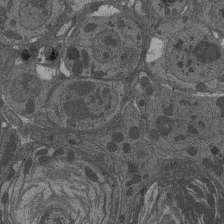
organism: Drosophila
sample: Antenna